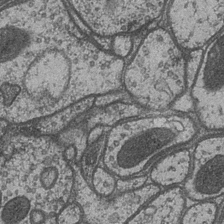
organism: Drosophila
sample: Optic medulla